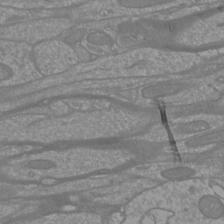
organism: Mouse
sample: Cortical neurons